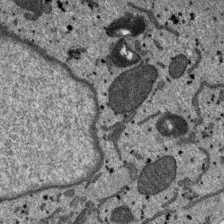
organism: Human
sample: Lung epithelial cells, uninfected (mock) control